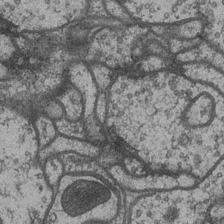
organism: Drosophila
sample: Optic medulla